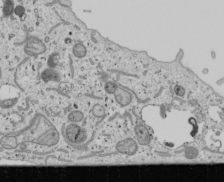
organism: Human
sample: Mitochondria in U2OS cells